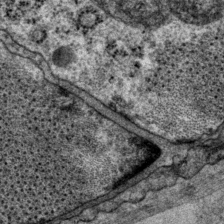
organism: P. pacificus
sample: Pharynx